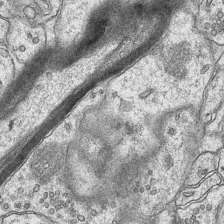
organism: Mouse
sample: CA1 Hippocampus